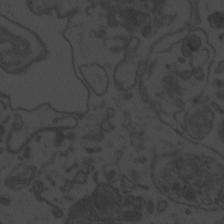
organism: Zebrafish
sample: Macrophage infected with Toxoplasma gondii